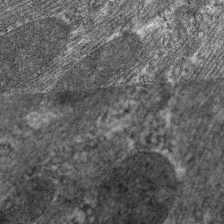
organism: C. elegans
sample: Pharynx